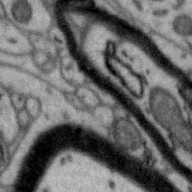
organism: Zebra finch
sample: Brain